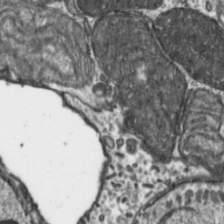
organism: Toxoplasma gondii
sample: Parasites in a vacuole inside a host cell